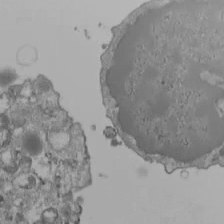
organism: Human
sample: Jurkat E6-1 and CD4 cells